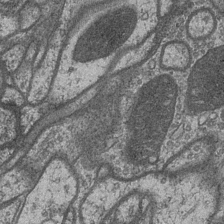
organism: Drosophila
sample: Optic medulla